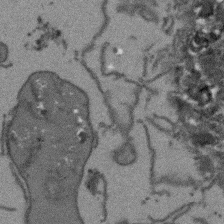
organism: Arabidopsis thaliana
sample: Root tip